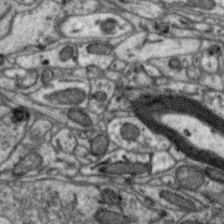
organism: Zebra finch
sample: Brain